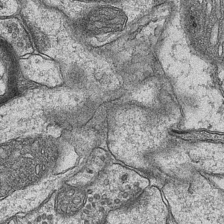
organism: Mouse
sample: CA1 Hippocampus